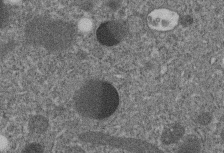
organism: C. elegans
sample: C. elegans embryo early stage